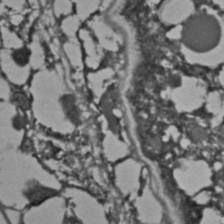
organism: C. elegans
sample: C. elegans embryo